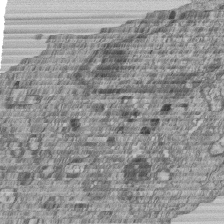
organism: Human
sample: MDA-MB-231 cells